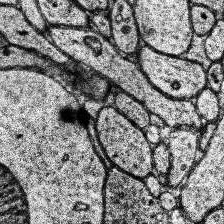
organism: Human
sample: Temporal Lobe